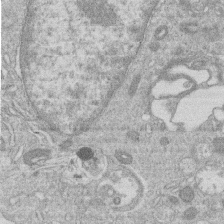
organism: Human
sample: Macrophage cells